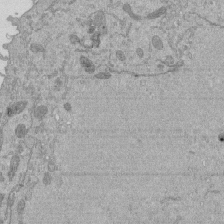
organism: Mouse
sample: ED-1 cell nuclei; centrioles